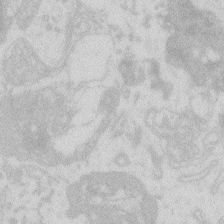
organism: Zebrafish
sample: Macrophage